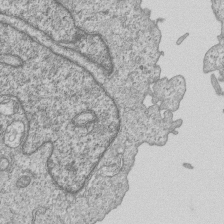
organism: Human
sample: MDA-MB-231 cells